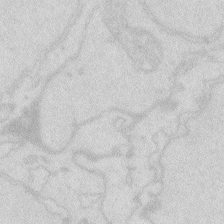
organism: Zebrafish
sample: Macrophage